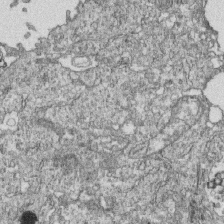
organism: Human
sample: HeLa cell HIV synapse